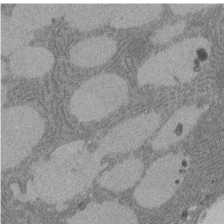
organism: Rat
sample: Salivary granule